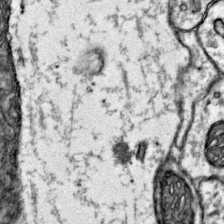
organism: Mouse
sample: Primary visual cortex